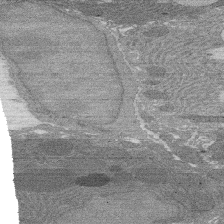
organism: Rat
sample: Salivary granule